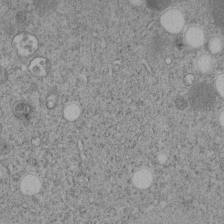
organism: C. elegans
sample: C. elegans embryo early stage